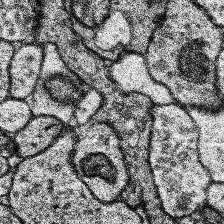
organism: Human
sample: Temporal Lobe